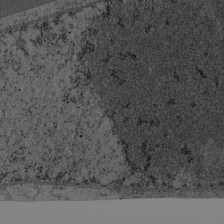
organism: African green monkey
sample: COS-7 cells